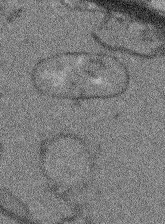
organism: Arabidopsis thaliana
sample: Root tip